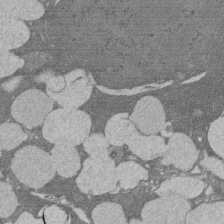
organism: Rat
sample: Salivary granule